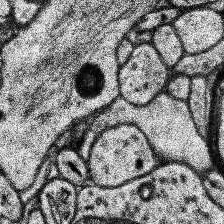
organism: Human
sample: Temporal Lobe